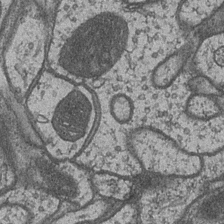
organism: Drosophila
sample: Optic medulla